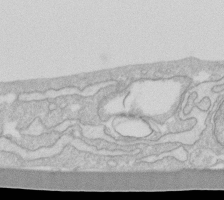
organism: Human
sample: Fibroblast cells